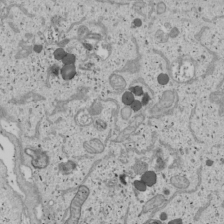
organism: Human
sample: Mitochondria in U2OS cells